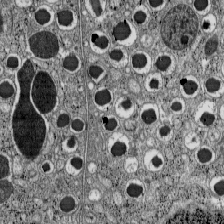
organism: C57BL Mouse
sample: Pancreatic islet